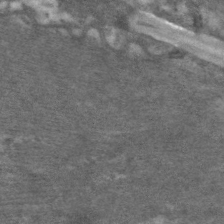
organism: C. elegans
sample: Pharynx